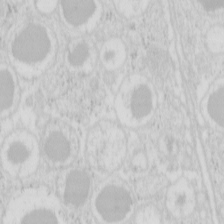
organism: Mouse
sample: Pancreas